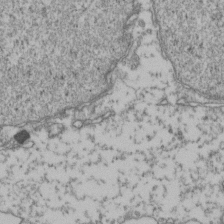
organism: Human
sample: Activated Jurkat CD4+ T cells